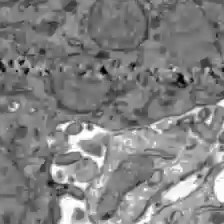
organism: C57BL Mouse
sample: Liver